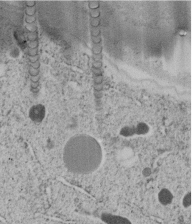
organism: C. elegans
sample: C. elegans embryo early stage